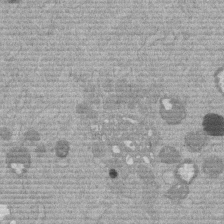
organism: Mouse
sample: Dividing mouse embryo 1 cell stage